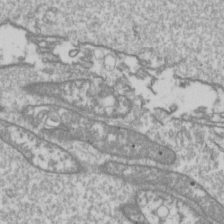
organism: Drosophila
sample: Cell division; meiosis; drosophila spermatocytes